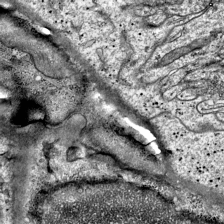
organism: Mouse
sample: Visual Cortex